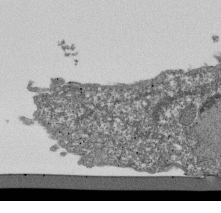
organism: Dictyostelium discoideum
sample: Dictyostelium multivesicular bodies